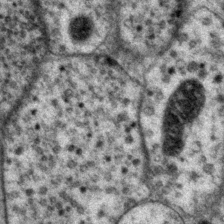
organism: P. pacificus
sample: Pharynx